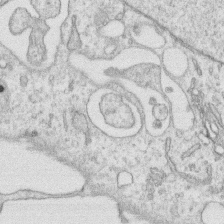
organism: Human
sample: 1205lu cells